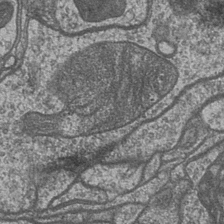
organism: Drosophila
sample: Optic medulla